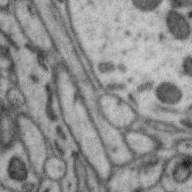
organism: Zebra finch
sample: Brain